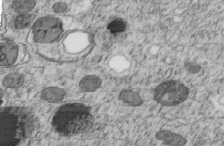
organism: C. elegans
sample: C. elegans embryo early stage